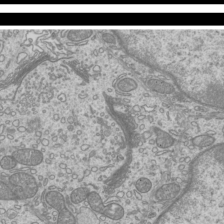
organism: Mouse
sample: Cilia; mouse epididymis